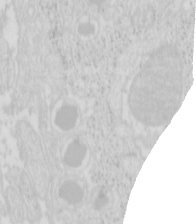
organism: Mouse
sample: Pancreas